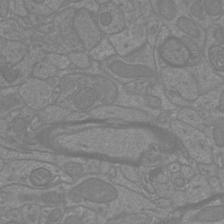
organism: Mouse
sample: Cortical neurons